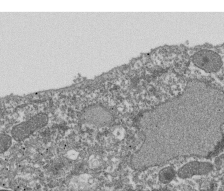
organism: Dictyostelium discoideum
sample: Dictyostelium multivesicular bodies